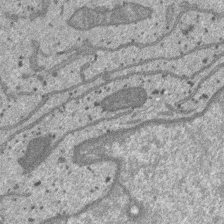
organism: Human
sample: Lung epithelial cells infected with SARS-CoV-2